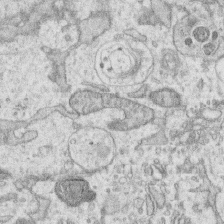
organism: Human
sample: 1205lu cells